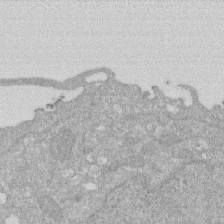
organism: Human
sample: HIV infected U937 cells